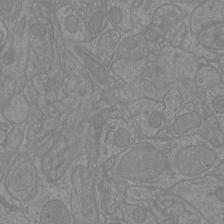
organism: Mouse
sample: Cortical neurons